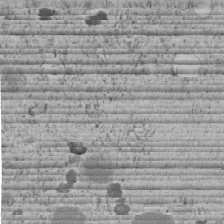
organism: C. elegans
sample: C. elegans embryo early stage